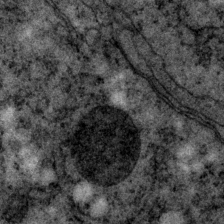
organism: P. pacificus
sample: Pharynx